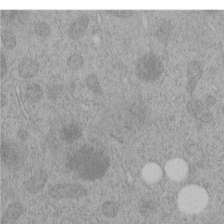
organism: C. elegans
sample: C. elegans embryo early stage